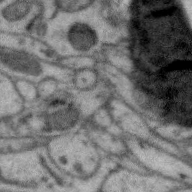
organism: Zebra finch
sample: Brain